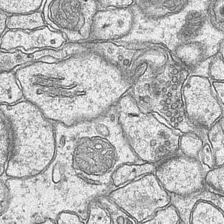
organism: Mouse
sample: CA1 Hippocampus